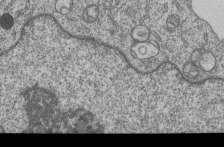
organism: Human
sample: MDA-MB-231 cells